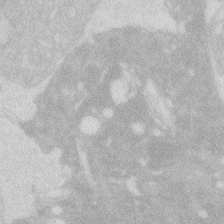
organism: Zebrafish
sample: Macrophage